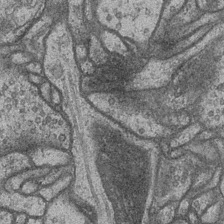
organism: Drosophila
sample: Optic medulla